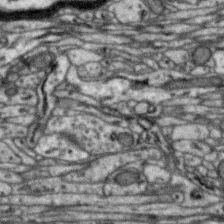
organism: Zebra finch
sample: Brain